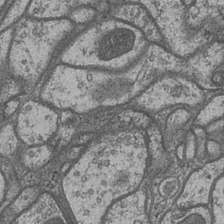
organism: Drosophila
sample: Optic medulla